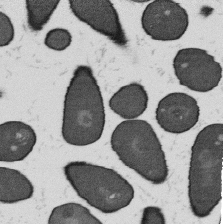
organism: B. subtilis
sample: Bacterial spore